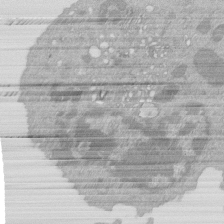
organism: Mouse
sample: Activated Pmel transgenic CD8+ T Cells